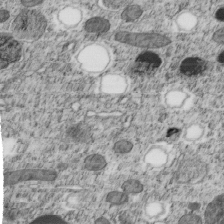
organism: C. elegans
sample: C. elegans embryo early stage